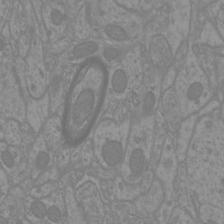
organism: Mouse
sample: Cortical neurons